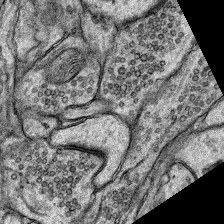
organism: Rat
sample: Hippocampus